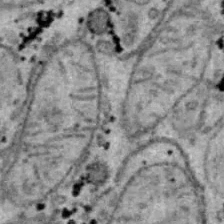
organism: Mouse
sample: Liver from an obese (ob/ob) mouse